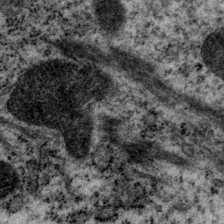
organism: P. pacificus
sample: Pharynx